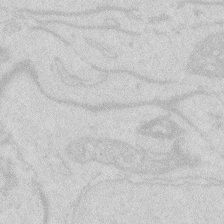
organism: Zebrafish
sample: Macrophage